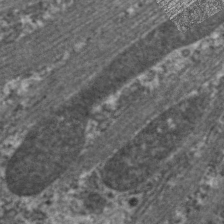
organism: C. elegans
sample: Pharynx